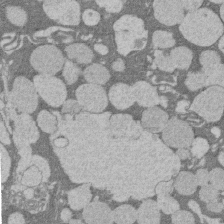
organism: Rat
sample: Salivary granule